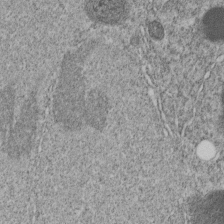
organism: C. elegans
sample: C. elegans embryo early stage